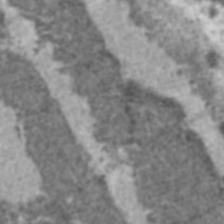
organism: C57BL Mouse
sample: Heart